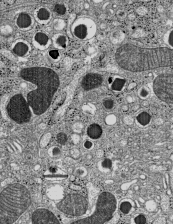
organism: C57BL Mouse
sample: Pancreatic islet